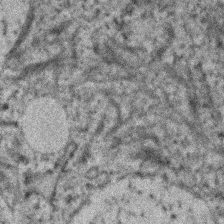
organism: Human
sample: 1205lu cells